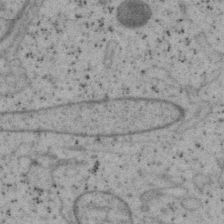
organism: Human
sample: HeLa cells